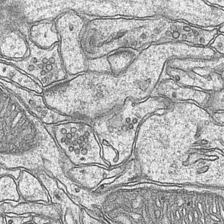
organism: Mouse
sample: CA1 Hippocampus